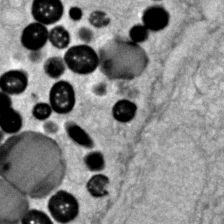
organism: Zebrafish